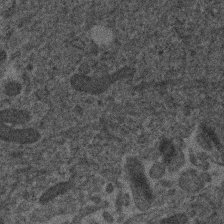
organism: Human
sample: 1205lu cells